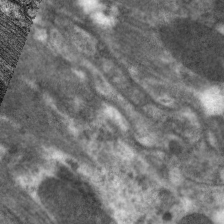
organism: C. elegans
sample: Pharynx